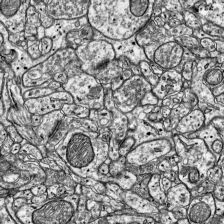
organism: Mouse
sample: Visual Cortex